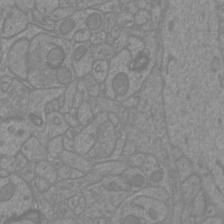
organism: Mouse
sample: Cortical neurons